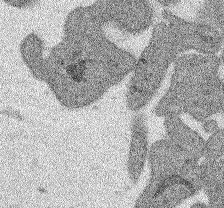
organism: Human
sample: HeLa cells